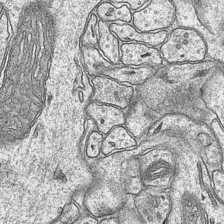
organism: Mouse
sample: CA1 Hippocampus